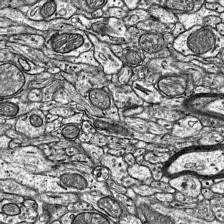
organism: Mouse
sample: Visual Cortex